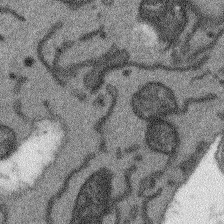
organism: Arabidopsis thaliana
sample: Root tip